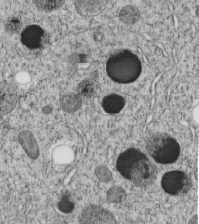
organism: C. elegans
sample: C. elegans embryo early stage